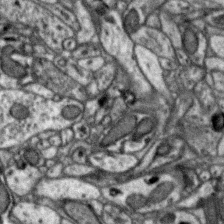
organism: Zebra finch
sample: Brain